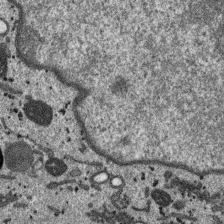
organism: Human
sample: Lung epithelial cells infected with SARS-CoV-2